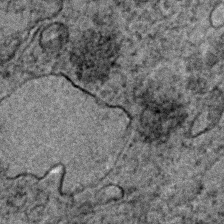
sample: Trachea